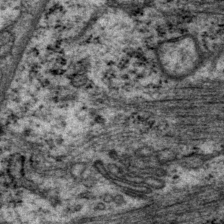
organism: P. pacificus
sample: Pharynx